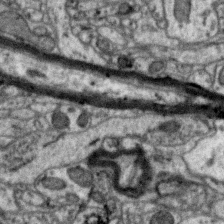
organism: Zebra finch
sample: Brain